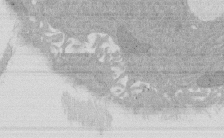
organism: Rat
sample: Salivary granule